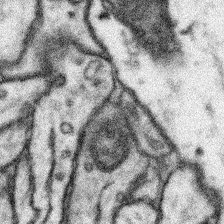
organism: Mouse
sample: Somatosensory cortex neuropil